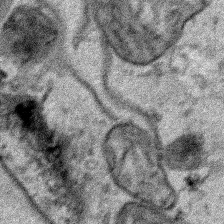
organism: Human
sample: Mitochondria in HCT116 cells